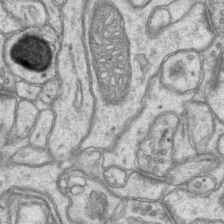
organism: Mouse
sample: CA1 Hippocampus